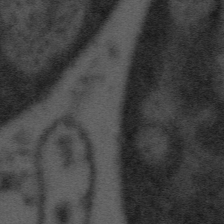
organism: Tuwongella immobilis